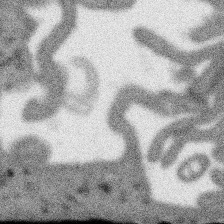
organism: Human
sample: Lung epithelial cells infected with SARS-CoV-2